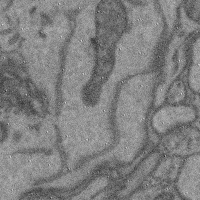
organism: Mouse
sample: Cerebral cortex